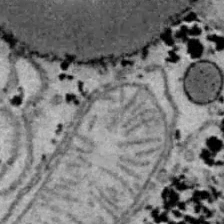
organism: Mouse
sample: Liver from an obese (ob/ob) mouse